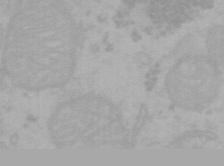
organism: Mouse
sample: Choroid plexus